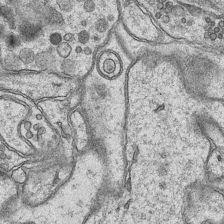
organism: Mouse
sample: CA1 Hippocampus